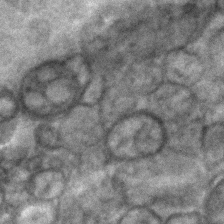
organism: C. elegans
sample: C. elegans embryo